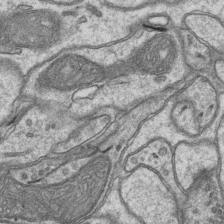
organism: Mouse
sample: CA1 Hippocampus